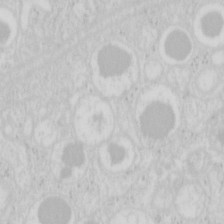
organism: Mouse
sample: Pancreas